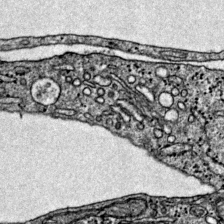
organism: Mouse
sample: Primary visual cortex